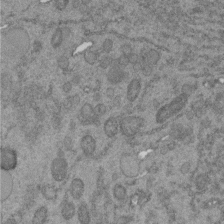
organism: C. elegans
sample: C. elegans embryo early stage